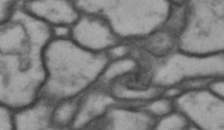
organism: Drosophila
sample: Brain